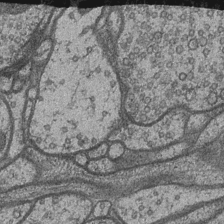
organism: Drosophila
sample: Optic medulla